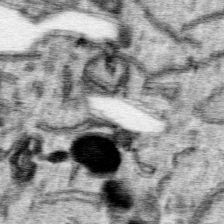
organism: Human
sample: HeLa cells